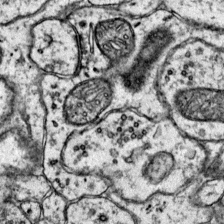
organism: Mouse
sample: Primary visual cortex